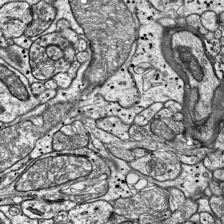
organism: Mouse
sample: Visual Cortex